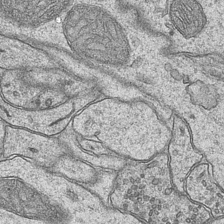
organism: Mouse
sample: CA1 Hippocampus